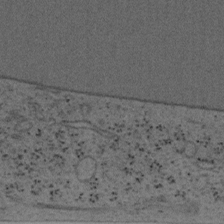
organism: Human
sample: HeLa cells